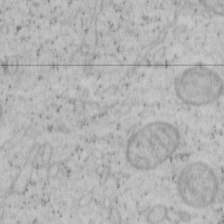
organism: Human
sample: HeLa cells